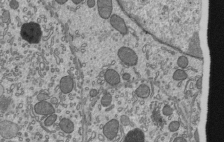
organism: Mouse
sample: Mouse epididymis efferent ductule cilia